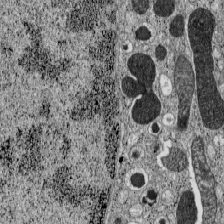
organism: C57BL Mouse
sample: Pancreatic islet